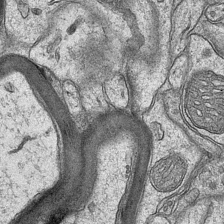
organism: Mouse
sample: CA1 Hippocampus